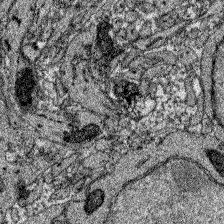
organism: Zebrafish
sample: Larval olfactory bulb